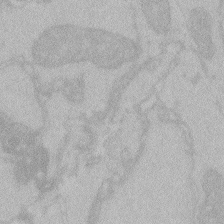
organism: Zebrafish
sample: Macrophage infected with Toxoplasma gondii